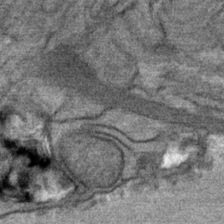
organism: Mouse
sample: Mouse Salivary gland